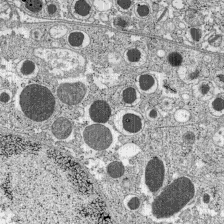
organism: C57BL Mouse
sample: Pancreatic islet